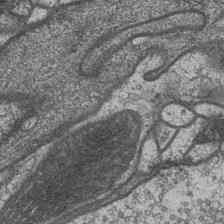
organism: Drosophila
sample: Optic medulla